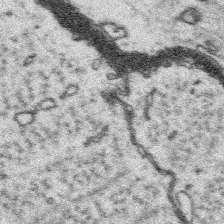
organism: Platynereis dumerilii